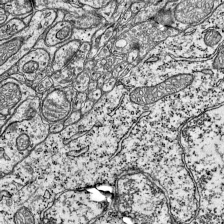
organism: Mouse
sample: Visual Cortex